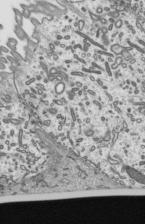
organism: Mouse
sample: Mouse epididymis efferent ductule cilia